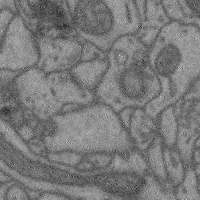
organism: Mouse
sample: Cerebral cortex